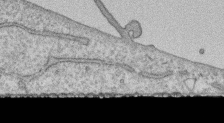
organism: Human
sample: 1205lu cells